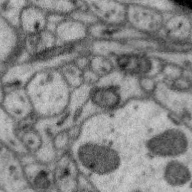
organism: Zebra finch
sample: Brain